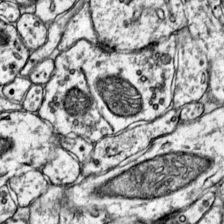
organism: Mouse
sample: Primary visual cortex